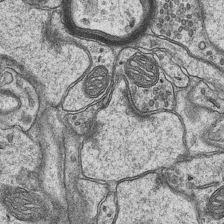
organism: Mouse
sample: CA1 Hippocampus